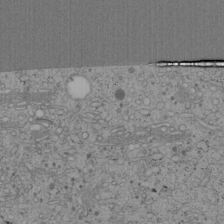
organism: African green monkey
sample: COS-7 cells